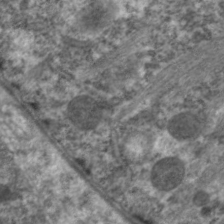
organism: C. elegans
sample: Pharynx